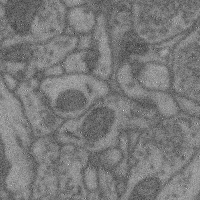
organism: Mouse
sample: Cerebral cortex